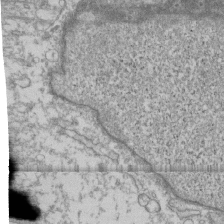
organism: Human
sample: Fibroblast cells